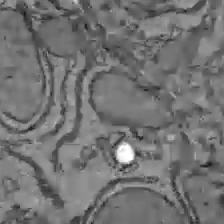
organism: C57BL Mouse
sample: Liver